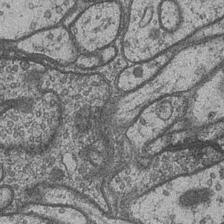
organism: Drosophila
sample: Optic medulla